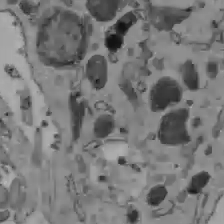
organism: C57BL Mouse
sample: Liver